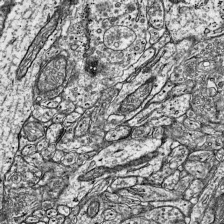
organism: Mouse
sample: Visual Cortex